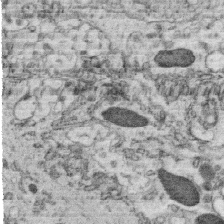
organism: C. elegans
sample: C. elegans oocyte; sperm cells